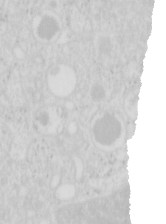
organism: Mouse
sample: Pancreas